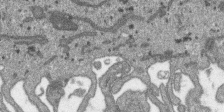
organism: Human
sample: Lung epithelial cells infected with SARS-CoV-2